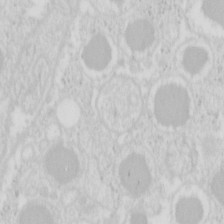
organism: Mouse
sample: Pancreas